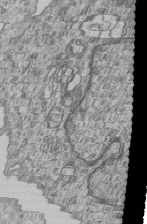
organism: Human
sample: MDA-MB-231 cells